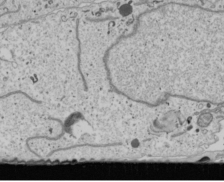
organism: Human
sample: Mitochondria in U2OS cells